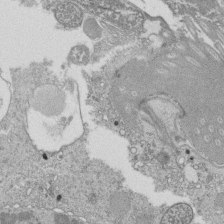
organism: Tetrahymena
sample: Cilia in tetrahymena